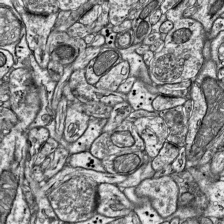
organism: Mouse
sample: Visual Cortex